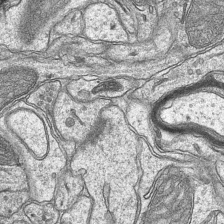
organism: Mouse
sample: CA1 Hippocampus